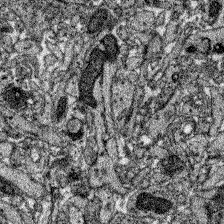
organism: Zebrafish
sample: Larval olfactory bulb